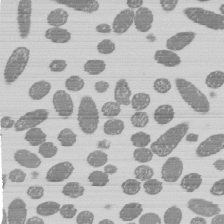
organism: E. coli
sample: Bacterial nucleoid